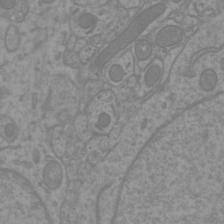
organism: Mouse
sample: Cortical neurons